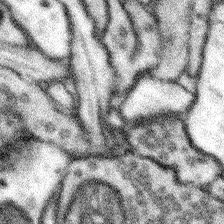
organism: Mouse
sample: Somatosensory cortex neuropil